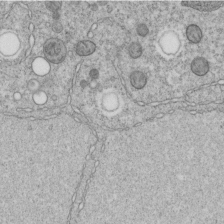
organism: C. elegans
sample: C. elegans embryo early stage